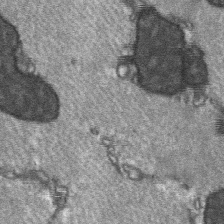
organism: C57BL Mouse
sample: Soleus